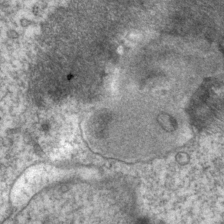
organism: P. pacificus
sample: Pharynx